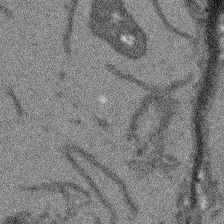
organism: Arabidopsis thaliana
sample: Root tip